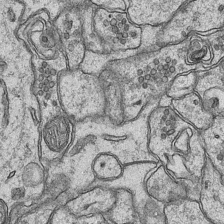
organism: Mouse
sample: CA1 Hippocampus